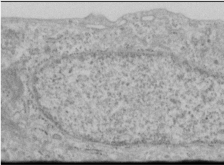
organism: Human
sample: Cilia; basal body in RPE cells